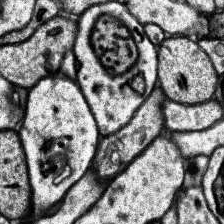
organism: Human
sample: Temporal Lobe